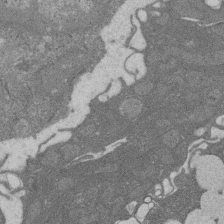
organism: Rat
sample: Salivary granule